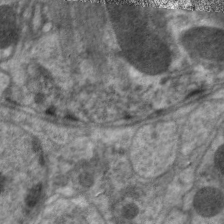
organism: C. elegans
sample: Pharynx